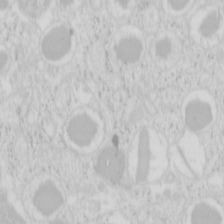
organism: Mouse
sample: Pancreas